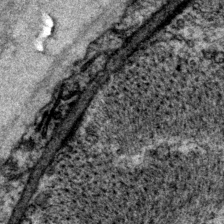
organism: P. pacificus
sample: Pharynx